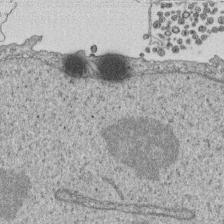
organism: Human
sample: HeLa cell HIV synapse